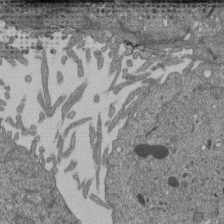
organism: Human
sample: Retinal organoid Rod and Cone cells